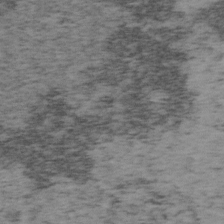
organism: Mouse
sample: OT-I killer T cells with ID8 ovarian cancer cells